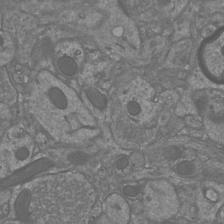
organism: Mouse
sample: Cortical neurons